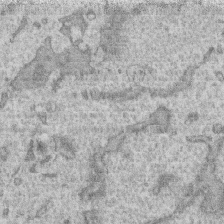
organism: Human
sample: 1205lu cells